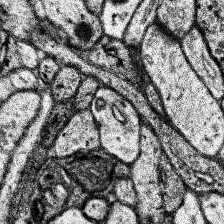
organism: Human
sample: Temporal Lobe